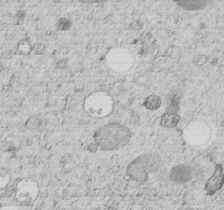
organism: C. elegans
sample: C. elegans embryo early stage